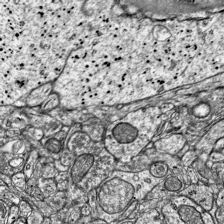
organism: Mouse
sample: Visual Cortex